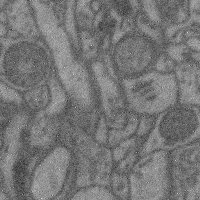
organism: Mouse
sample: Cerebral cortex